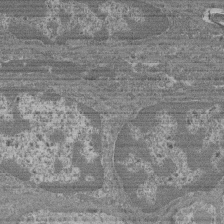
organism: Mouse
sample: Glomerulus